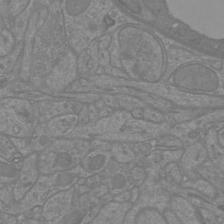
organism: Mouse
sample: Cortical neurons